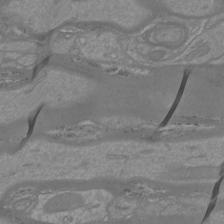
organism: Mouse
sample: Cortical neurons